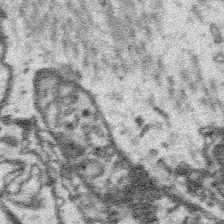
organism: Platynereis dumerilii